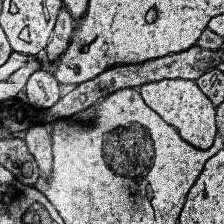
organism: Human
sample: Temporal Lobe